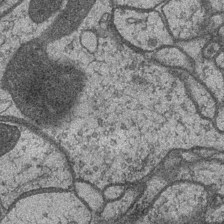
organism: Drosophila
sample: Optic medulla